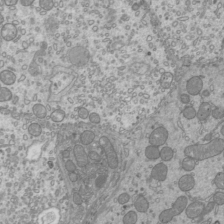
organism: Mouse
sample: Cilia; mouse epididymis